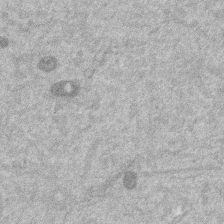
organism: Mouse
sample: Dividing mouse embryo 1 cell stage